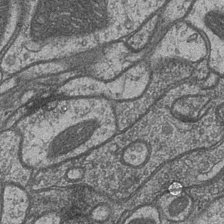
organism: Drosophila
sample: Optic medulla